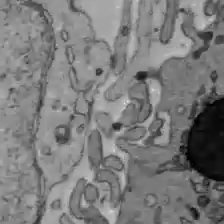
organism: C57BL Mouse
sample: Liver